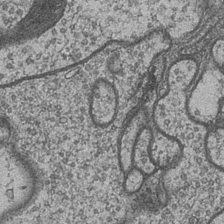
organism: Drosophila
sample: Optic medulla